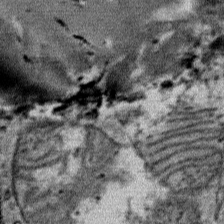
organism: Mouse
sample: Mouse Salivary gland